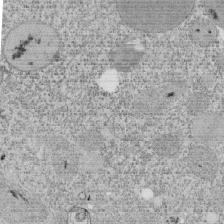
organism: Tetrahymena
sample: Cilia in tetrahymena